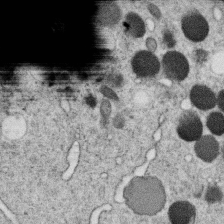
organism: C. elegans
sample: C. elegans oocyte; sperm cells